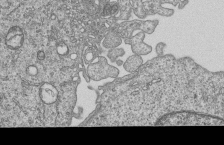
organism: Human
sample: MDA-MB-231 cells